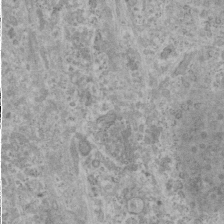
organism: Human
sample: Cilia; basal body in RPE cells